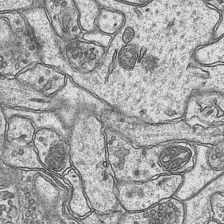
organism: Mouse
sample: CA1 Hippocampus